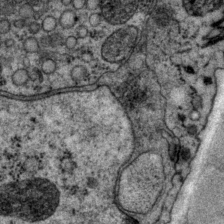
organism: P. pacificus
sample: Pharynx